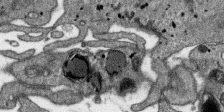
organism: Human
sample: Lung epithelial cells, uninfected (mock) control